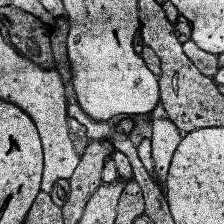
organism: Human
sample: Temporal Lobe